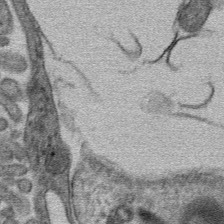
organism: Mouse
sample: Mouse hepatocytes